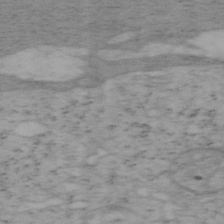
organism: Mouse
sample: OT-I killer T cells with ID8 ovarian cancer cells